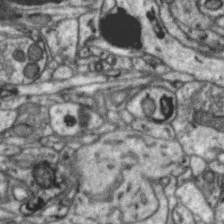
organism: Zebra finch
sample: Brain